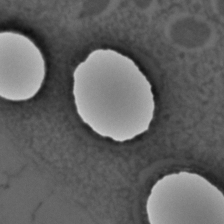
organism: C. elegans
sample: C. elegans embryo